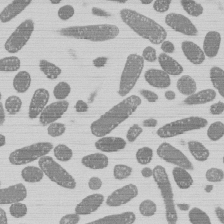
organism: E. coli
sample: Bacterial nucleoid